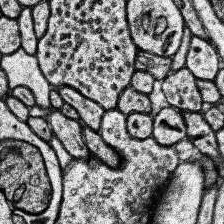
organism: Human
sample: Temporal Lobe